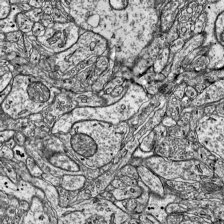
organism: Mouse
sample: Visual Cortex